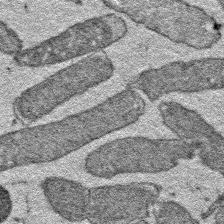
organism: E. coli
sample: E. Coli Bacteria